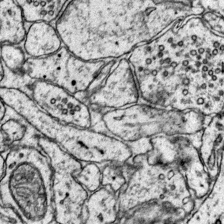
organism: Mouse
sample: Primary visual cortex